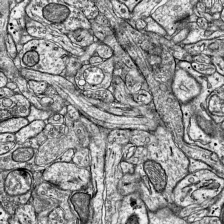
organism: Mouse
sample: Visual Cortex